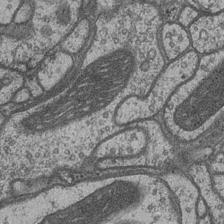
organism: Drosophila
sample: Optic medulla